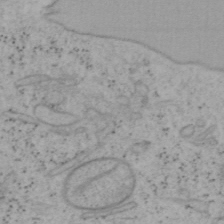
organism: Human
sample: HeLa cells